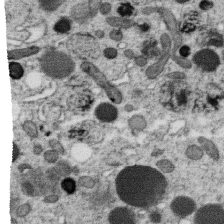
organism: C. elegans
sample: C. elegans oocyte; sperm cells